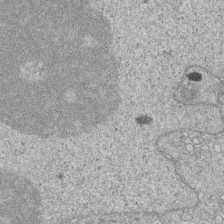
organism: Human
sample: HeLa cell HIV synapse